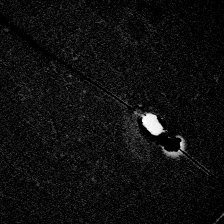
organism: Zebrafish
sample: Whole-Brain